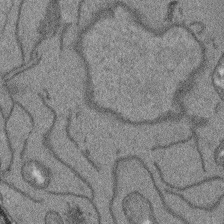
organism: Arabidopsis thaliana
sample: Root tip